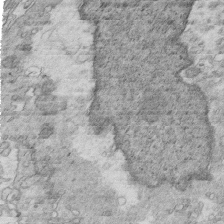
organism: Mouse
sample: Multiciliated cells